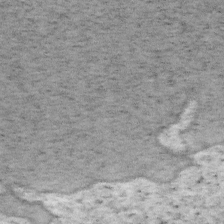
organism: Mouse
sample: OT-I killer T cells with ID8 ovarian cancer cells